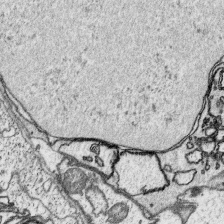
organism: Platynereis dumerilii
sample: Parapodia